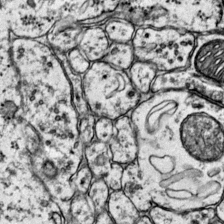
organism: Mouse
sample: Primary visual cortex